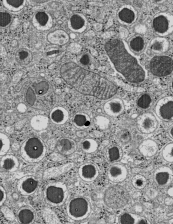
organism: C57BL Mouse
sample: Pancreatic islet